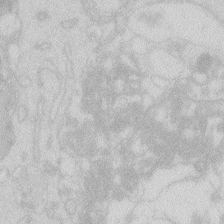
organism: Zebrafish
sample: Macrophage